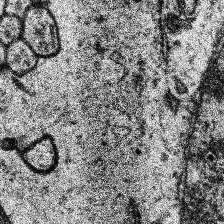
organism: Human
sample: Temporal Lobe